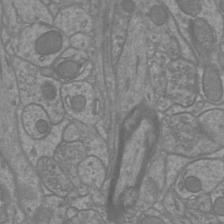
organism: Mouse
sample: Cortical neurons